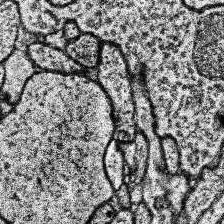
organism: Human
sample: Temporal Lobe